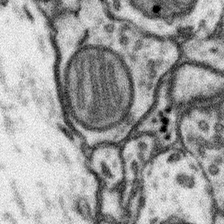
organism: Mouse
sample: Somatosensory cortex neuropil